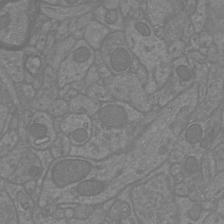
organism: Mouse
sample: Cortical neurons